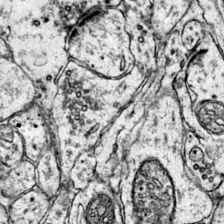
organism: Mouse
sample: Primary visual cortex